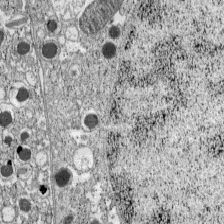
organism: C57BL Mouse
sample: Pancreatic islet